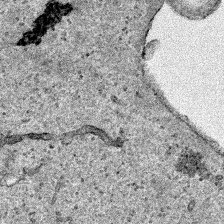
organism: Human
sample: Mitochondria in HCT116 cells